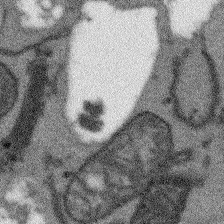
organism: Arabidopsis thaliana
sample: Root tip